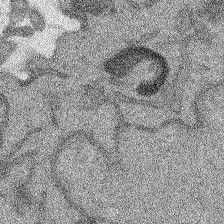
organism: Human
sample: HeLa cells